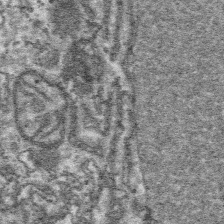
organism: Platynereis dumerilii